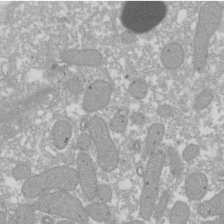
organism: Xenopus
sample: Cilia; centrioles in frog embryo cells